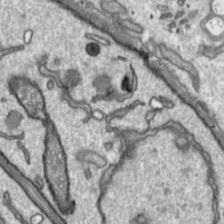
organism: Toxoplasma gondii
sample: Parasites in a vacuole inside a host cell